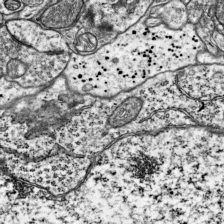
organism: Mouse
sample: Visual Cortex